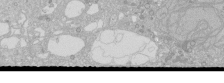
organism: Human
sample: Caco-2 cells